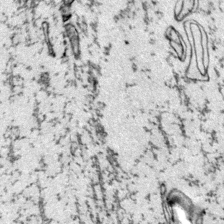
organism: Mouse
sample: Primary visual cortex